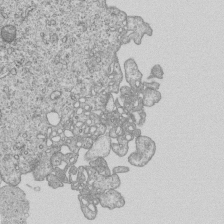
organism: Human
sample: MDA-MB-231 cells